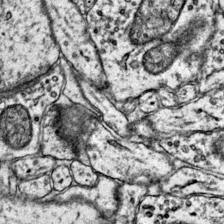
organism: Mouse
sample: Primary visual cortex